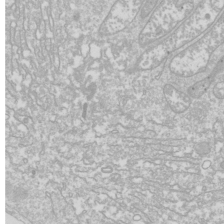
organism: Drosophila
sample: Cell division; meiosis; drosophila spermatocytes